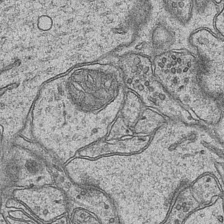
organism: Mouse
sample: CA1 Hippocampus